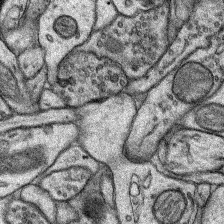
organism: Rat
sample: Hippocampus